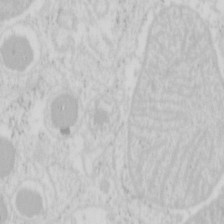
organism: Mouse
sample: Pancreas